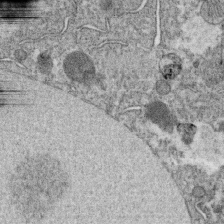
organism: C. elegans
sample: C. elegans oocyte; sperm cells